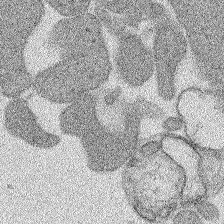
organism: Human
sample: HeLa cells